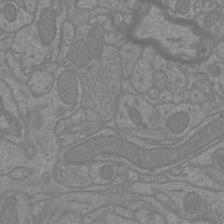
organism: Mouse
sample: Cortical neurons